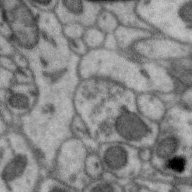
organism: Zebra finch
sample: Brain